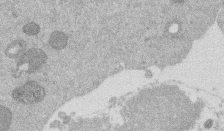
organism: Mouse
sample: Dividing mouse embryo 1 cell stage